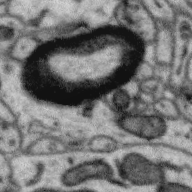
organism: Zebra finch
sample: Brain